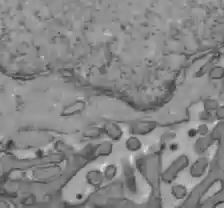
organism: C57BL Mouse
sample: Liver